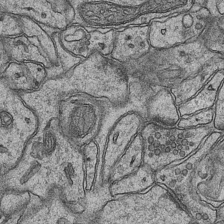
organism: Mouse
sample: CA1 Hippocampus